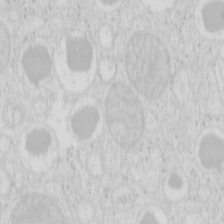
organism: Mouse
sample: Pancreas